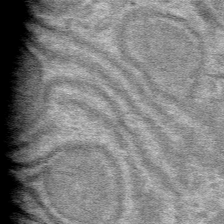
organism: Mouse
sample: Mouse hepatocytes